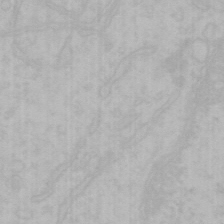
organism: Mouse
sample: Choroid plexus